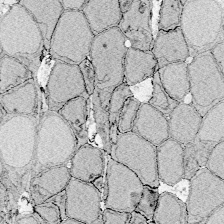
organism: Zebrafish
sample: Whole-Brain